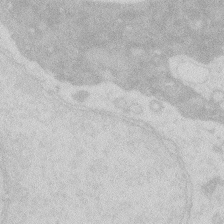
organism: Zebrafish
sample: Macrophage